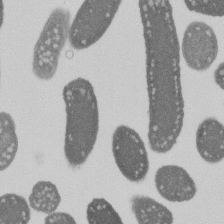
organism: E. coli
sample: Bacterial nucleoid